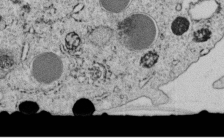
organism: C. elegans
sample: C. elegans embryo early stage